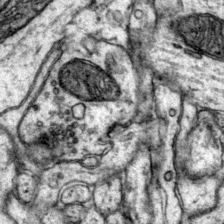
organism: Mouse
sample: Primary visual cortex